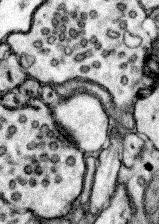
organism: Mouse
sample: Somatosensory cortex neuropil